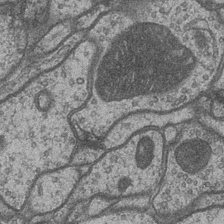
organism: Drosophila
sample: Optic medulla